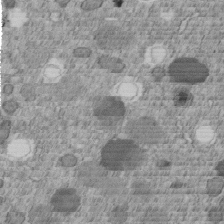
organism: C. elegans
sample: C. elegans embryo early stage